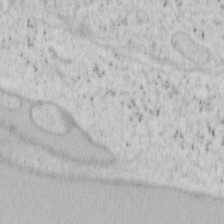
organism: Human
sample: HeLa cells